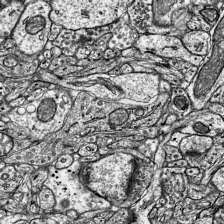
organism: Mouse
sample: Visual Cortex